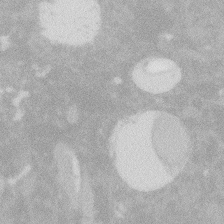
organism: Zebrafish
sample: Macrophage